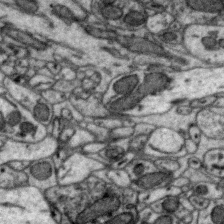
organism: Zebra finch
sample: Brain